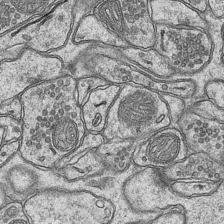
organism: Mouse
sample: CA1 Hippocampus